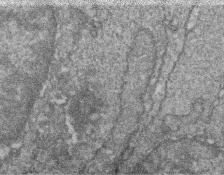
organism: Zebrafish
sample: Cilia; retinal pigment epithelium